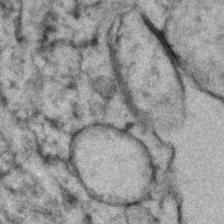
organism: Zebrafish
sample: Zebrafish embryo